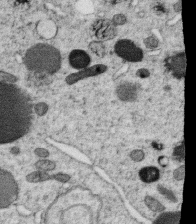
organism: C. elegans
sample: C. elegans oocyte; sperm cells